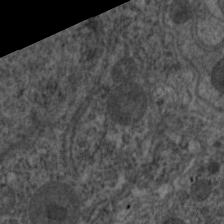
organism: C. elegans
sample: Pharynx